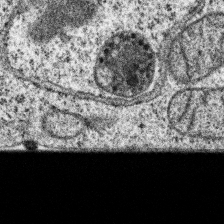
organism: Human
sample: HeLa cells